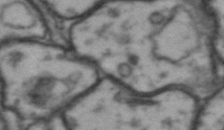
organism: Drosophila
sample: Brain